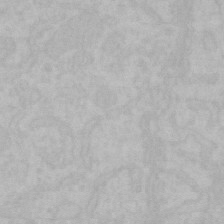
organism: Mouse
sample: Choroid plexus